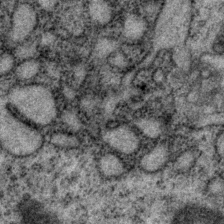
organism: P. pacificus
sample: Pharynx